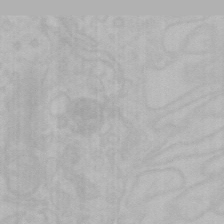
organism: Mouse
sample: Choroid plexus